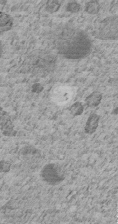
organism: C. elegans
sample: C. elegans embryo early stage